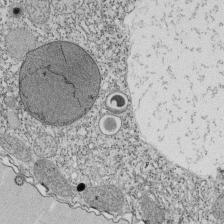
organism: Tetrahymena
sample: Cilia in tetrahymena